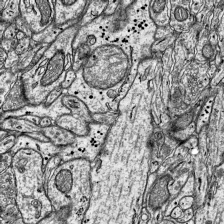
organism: Mouse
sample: Visual Cortex